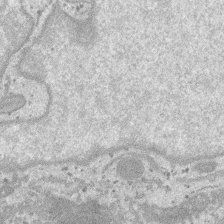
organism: Human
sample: Lung epithelial cells infected with SARS-CoV-2